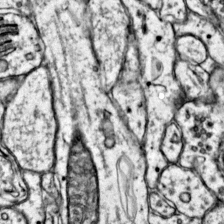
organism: Mouse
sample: Primary visual cortex